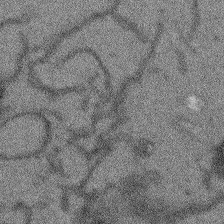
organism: Arabidopsis thaliana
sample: Root tip